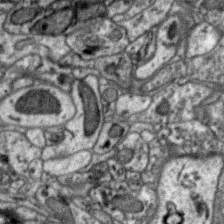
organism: Zebra finch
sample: Brain